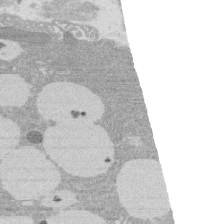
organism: Rat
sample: Salivary granule